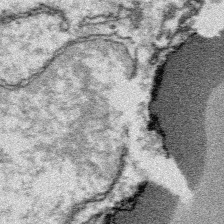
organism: Platynereis dumerilii